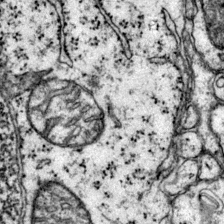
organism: Mouse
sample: Primary visual cortex